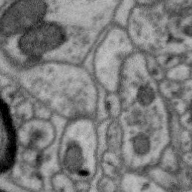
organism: Zebra finch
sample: Brain